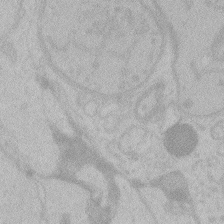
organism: Zebrafish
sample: Macrophage infected with Toxoplasma gondii